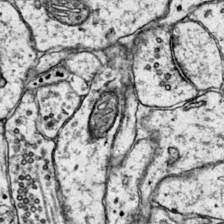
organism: Mouse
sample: Primary visual cortex